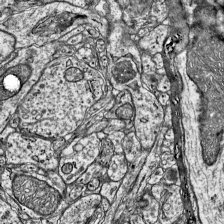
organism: Mouse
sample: Visual Cortex